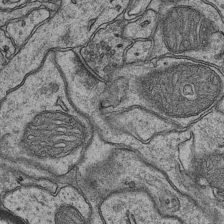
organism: Mouse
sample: CA1 Hippocampus